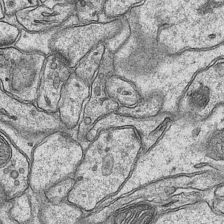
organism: Mouse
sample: CA1 Hippocampus